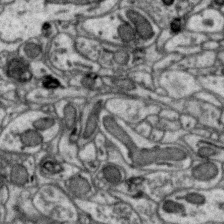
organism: Zebra finch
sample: Brain